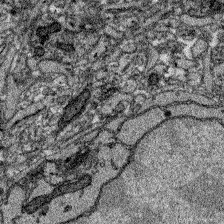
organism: Zebrafish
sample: Larval olfactory bulb